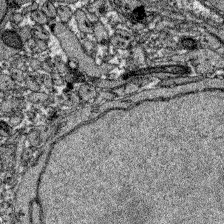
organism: Zebrafish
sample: Larval olfactory bulb